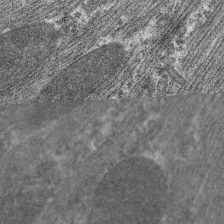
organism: C. elegans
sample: Pharynx